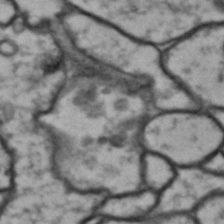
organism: Drosophila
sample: Brain